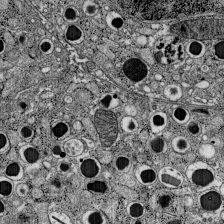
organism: C57BL Mouse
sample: Pancreatic islet